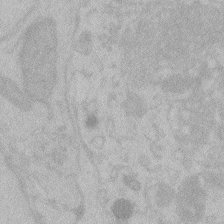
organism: Zebrafish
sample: Macrophage infected with Toxoplasma gondii